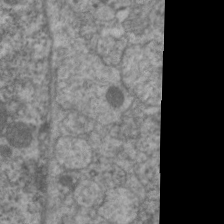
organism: C. elegans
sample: Pharynx